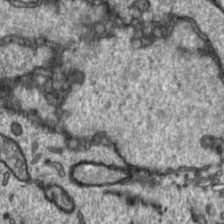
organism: Toxoplasma gondii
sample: Parasites in a vacuole inside a host cell